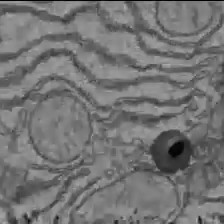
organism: C57BL Mouse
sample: Liver